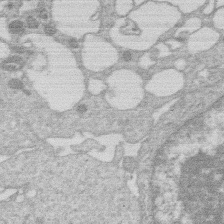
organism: Human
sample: Macrophage cells